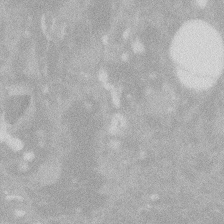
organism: Zebrafish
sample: Macrophage